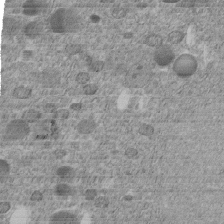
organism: C. elegans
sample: C. elegans embryo early stage